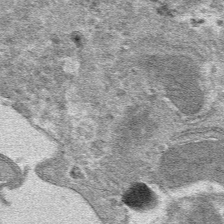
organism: Mouse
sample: Mouse hepatocytes